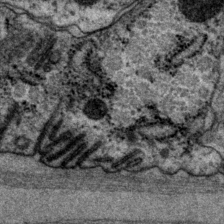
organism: P. pacificus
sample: Pharynx